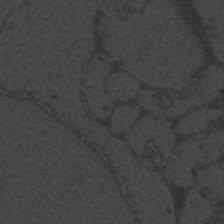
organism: Zebrafish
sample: Macrophage infected with Toxoplasma gondii